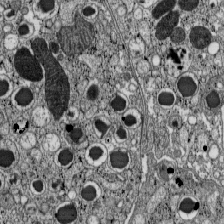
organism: C57BL Mouse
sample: Pancreatic islet